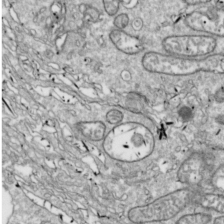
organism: Drosophila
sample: Cell division; meiosis; drosophila spermatocytes